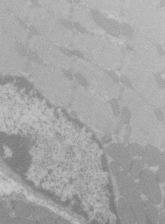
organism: C57BL Mouse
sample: Tibialis anterior muscle cell